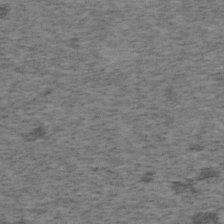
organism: Mouse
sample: OT-I killer T cells with ID8 ovarian cancer cells